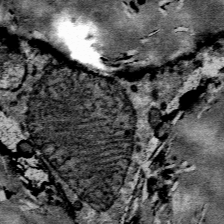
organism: Mouse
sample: Mouse Salivary gland